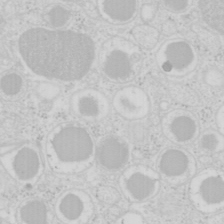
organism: Mouse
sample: Pancreas